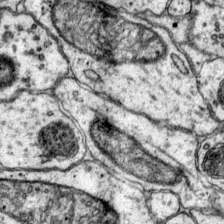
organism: Mouse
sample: Primary visual cortex